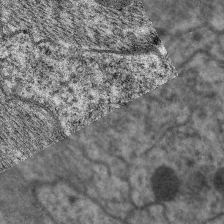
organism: C. elegans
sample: Pharynx